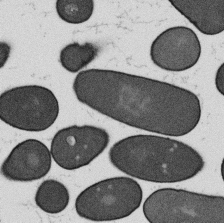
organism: B. subtilis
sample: Bacterial spore